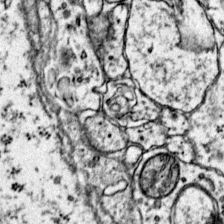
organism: Mouse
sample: Primary visual cortex